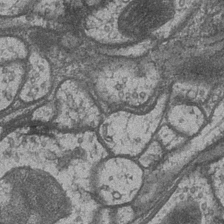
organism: Drosophila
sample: Optic medulla